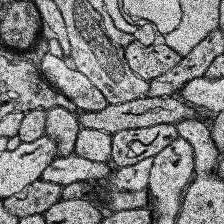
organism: Human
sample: Temporal Lobe